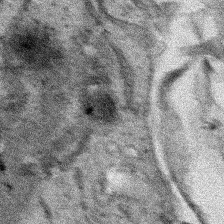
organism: Human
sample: Mitochondria in HCT116 cells